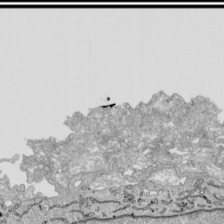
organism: Human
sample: Mitochondria in HCT116 cells